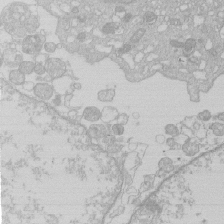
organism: Human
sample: Macrophage cells